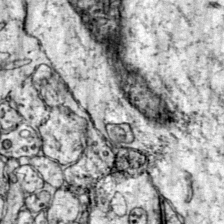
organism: Mouse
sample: Primary visual cortex